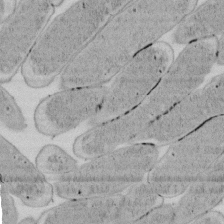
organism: E. coli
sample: Bacterial nucleoid